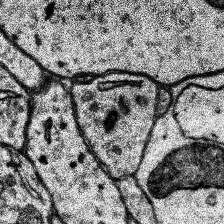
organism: Human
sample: Temporal Lobe